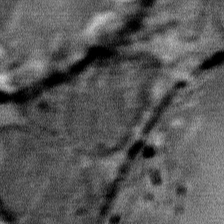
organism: Mouse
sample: Mouse Salivary gland